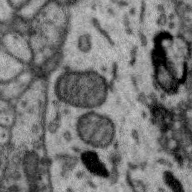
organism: Zebra finch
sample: Brain